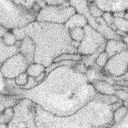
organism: Rabbit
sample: Retina